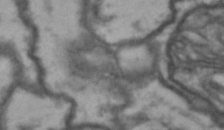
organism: Drosophila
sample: Brain